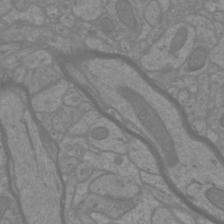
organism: Mouse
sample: Cortical neurons